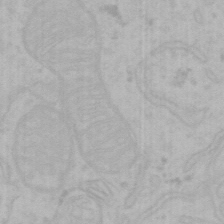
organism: Mouse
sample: Choroid plexus